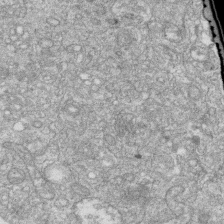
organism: Human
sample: HeLa cell HIV synapse